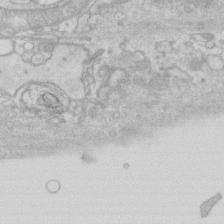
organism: Human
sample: Fibroblast cells